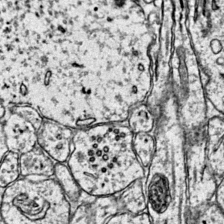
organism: Mouse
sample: Primary visual cortex